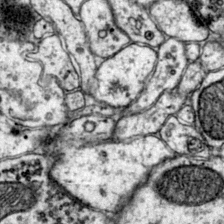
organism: Mouse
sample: Primary visual cortex